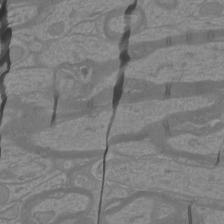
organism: Mouse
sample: Cortical neurons